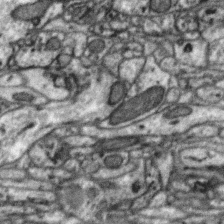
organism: Zebra finch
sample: Brain